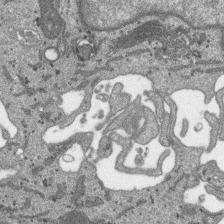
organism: Human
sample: Lung epithelial cells infected with SARS-CoV-2